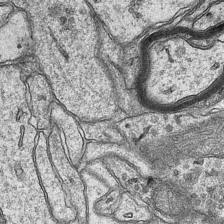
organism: Mouse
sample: CA1 Hippocampus